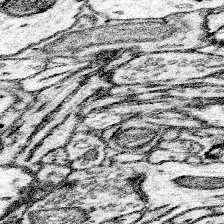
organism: Mouse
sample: Somatosensory cortex neuropil